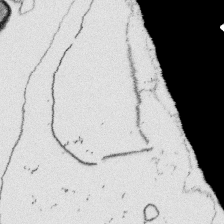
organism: Platynereis dumerilii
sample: Parapodia